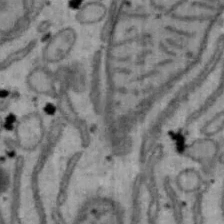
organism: Mouse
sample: Liver